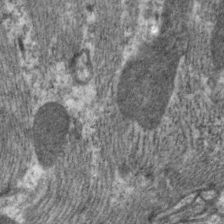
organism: C. elegans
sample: Pharynx